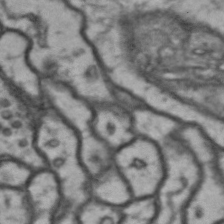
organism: Drosophila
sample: Brain